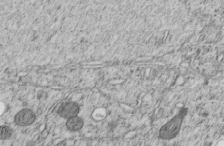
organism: C. elegans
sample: C. elegans embryo early stage